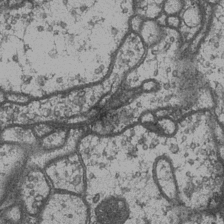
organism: Drosophila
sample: Optic medulla